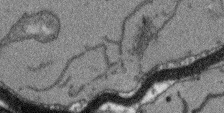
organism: Arabidopsis thaliana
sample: Root tip